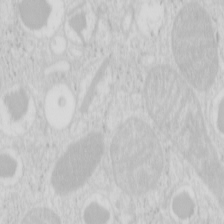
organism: Mouse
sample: Pancreas